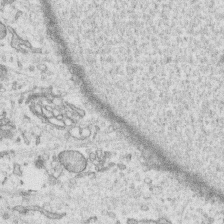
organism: Human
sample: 1205lu cells